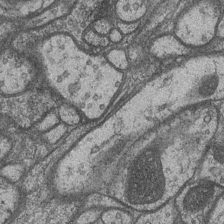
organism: Drosophila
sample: Optic medulla